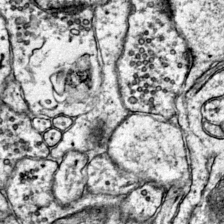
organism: Mouse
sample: Primary visual cortex